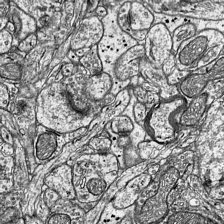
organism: Mouse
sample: Visual Cortex